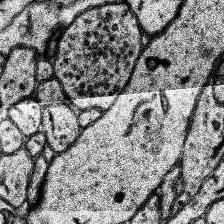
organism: Human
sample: Temporal Lobe